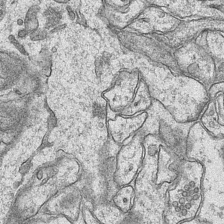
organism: Mouse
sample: CA1 Hippocampus